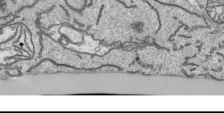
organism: Human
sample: Mitochondria in HCT116 cells